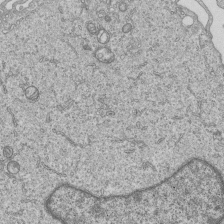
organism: Human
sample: MDA-MB-231 cells